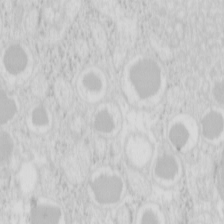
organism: Mouse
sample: Pancreas